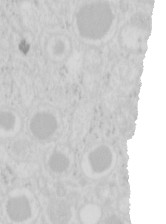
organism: Mouse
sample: Pancreas